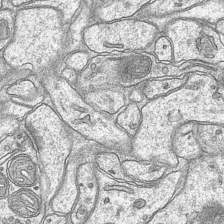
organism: Mouse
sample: CA1 Hippocampus